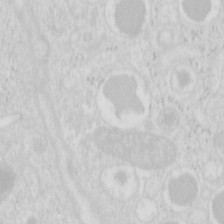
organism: Mouse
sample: Pancreas